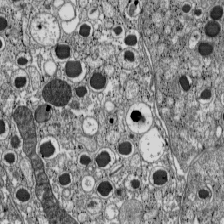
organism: C57BL Mouse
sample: Pancreatic islet